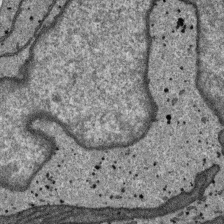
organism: Human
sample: Lung epithelial cells, uninfected (mock) control